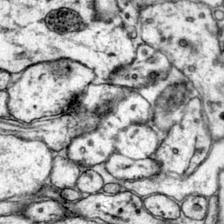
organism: Mouse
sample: Primary visual cortex